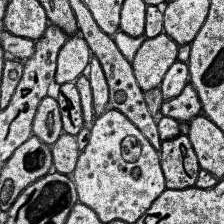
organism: Human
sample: Temporal Lobe